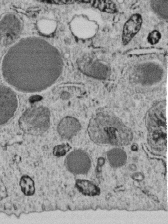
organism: C. elegans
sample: C. elegans embryo early stage